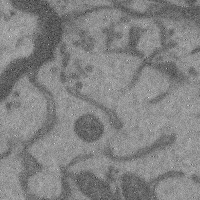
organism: Mouse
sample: Cerebral cortex